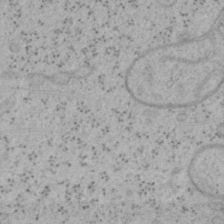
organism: Human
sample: HeLa cells